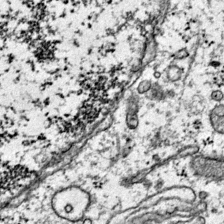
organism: Mouse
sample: Primary visual cortex